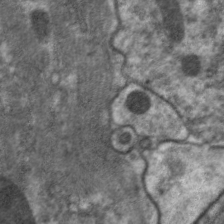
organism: C. elegans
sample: Pharynx